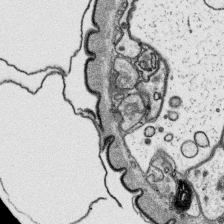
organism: Platynereis dumerilii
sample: Parapodia